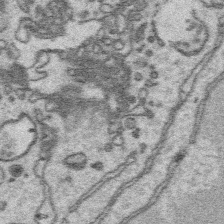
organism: Platynereis dumerilii